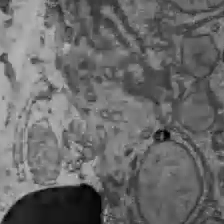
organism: C57BL Mouse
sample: Liver